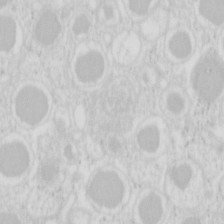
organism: Mouse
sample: Pancreas